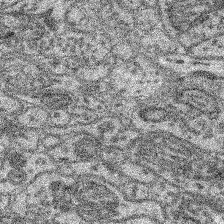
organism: Mouse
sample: Retina